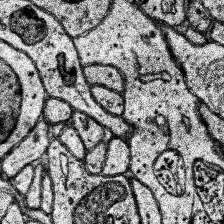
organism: Human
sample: Temporal Lobe